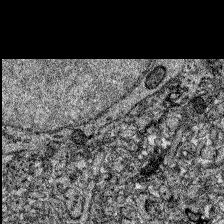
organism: Zebrafish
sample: Larval olfactory bulb